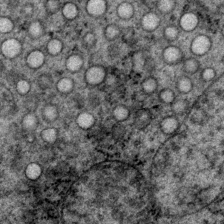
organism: P. pacificus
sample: Pharynx